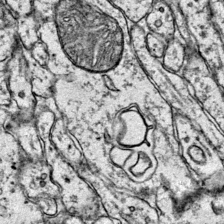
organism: Mouse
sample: Primary visual cortex